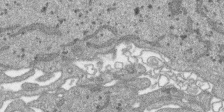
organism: Human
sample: Lung epithelial cells infected with SARS-CoV-2